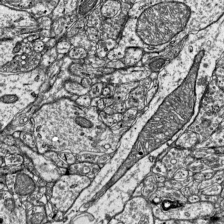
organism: Mouse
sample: Visual Cortex